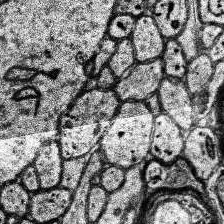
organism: Human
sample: Temporal Lobe